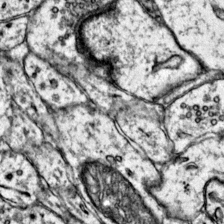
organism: Mouse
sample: Primary visual cortex